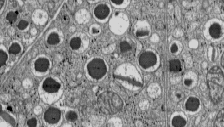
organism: C57BL Mouse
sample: Pancreatic islet